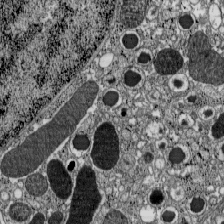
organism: C57BL Mouse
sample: Pancreatic islet